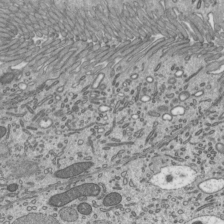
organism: Mouse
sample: Mouse epididymis efferent ductule cilia